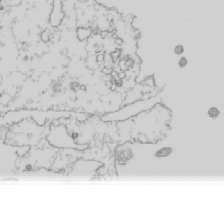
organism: Mouse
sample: Cilia; mouse epididymis